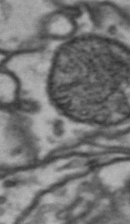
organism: Drosophila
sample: Brain